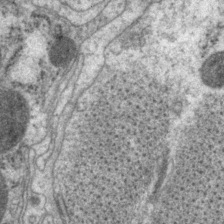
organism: P. pacificus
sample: Pharynx